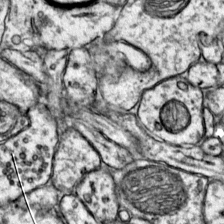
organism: Mouse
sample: Primary visual cortex